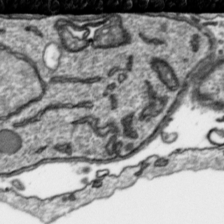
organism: Toxoplasma gondii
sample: Parasites in a vacuole inside a host cell